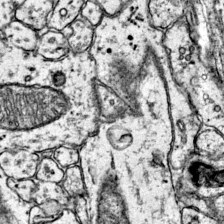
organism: Mouse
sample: Primary visual cortex